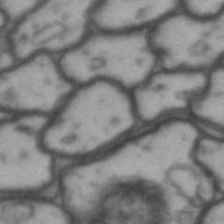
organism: Drosophila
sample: Brain